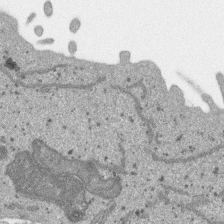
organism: Human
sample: Lung epithelial cells infected with SARS-CoV-2